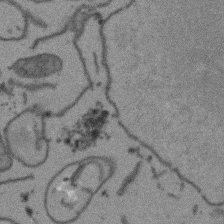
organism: Arabidopsis thaliana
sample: Root tip